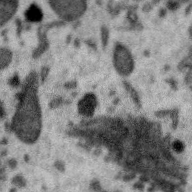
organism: Zebra finch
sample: Brain